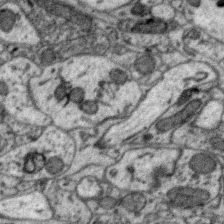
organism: Zebra finch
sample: Brain